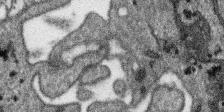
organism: Human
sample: Lung epithelial cells infected with SARS-CoV-2